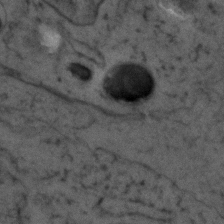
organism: Zebrafish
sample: Zebrafish embryo